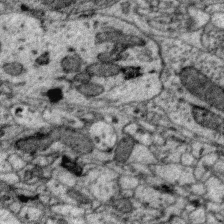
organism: Zebra finch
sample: Brain